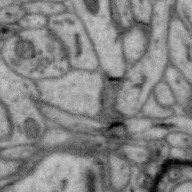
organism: Zebra finch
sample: Brain